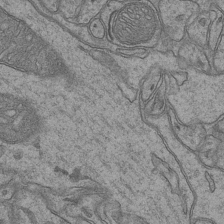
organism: Mouse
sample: CA1 Hippocampus